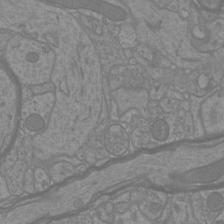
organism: Mouse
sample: Cortical neurons